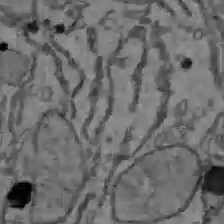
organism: C57BL Mouse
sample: Liver